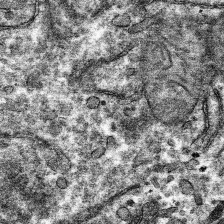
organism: Mouse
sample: Mouse hepatocytes